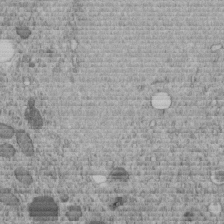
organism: C. elegans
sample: C. elegans embryo early stage